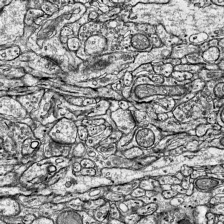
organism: Mouse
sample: Visual Cortex